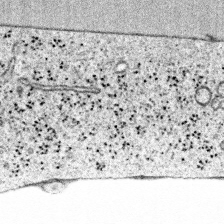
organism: Human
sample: HeLa cells